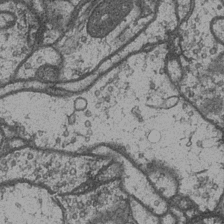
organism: Drosophila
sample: Optic medulla